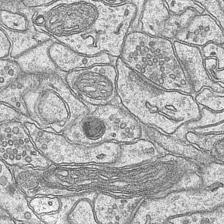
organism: Mouse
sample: CA1 Hippocampus